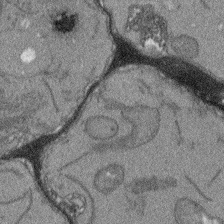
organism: Arabidopsis thaliana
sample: Root tip